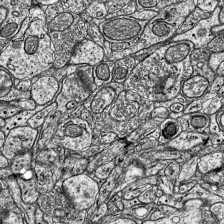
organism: Mouse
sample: Visual Cortex